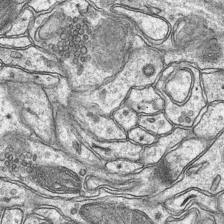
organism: Mouse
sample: CA1 Hippocampus